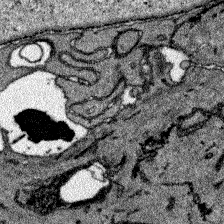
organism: Zebrafish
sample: Larval olfactory bulb